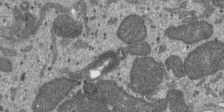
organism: Human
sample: Lung epithelial cells infected with SARS-CoV-2